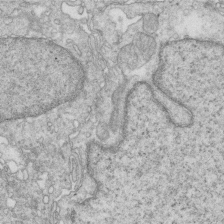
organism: Mouse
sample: Multiciliated cells